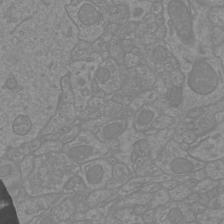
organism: Mouse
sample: Cortical neurons